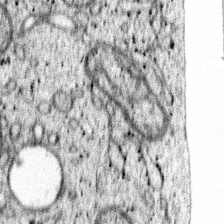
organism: Human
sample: HeLa cells